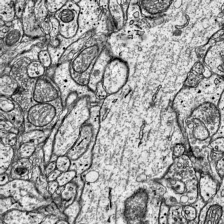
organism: Mouse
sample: Visual Cortex